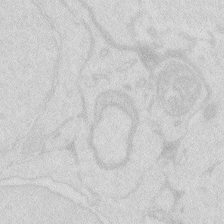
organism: Zebrafish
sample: Macrophage